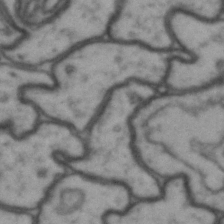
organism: Drosophila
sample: Brain